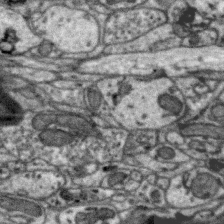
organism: Zebra finch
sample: Brain